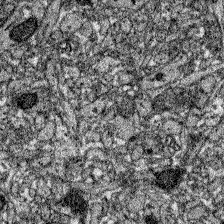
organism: Zebrafish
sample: Larval olfactory bulb